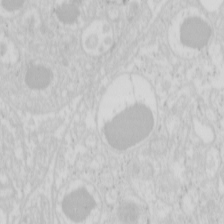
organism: Mouse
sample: Pancreas